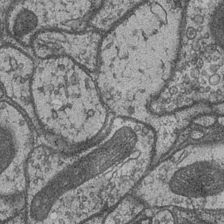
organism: Drosophila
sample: Optic medulla